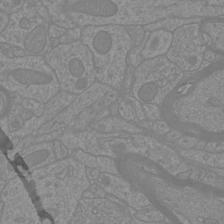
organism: Mouse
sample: Cortical neurons